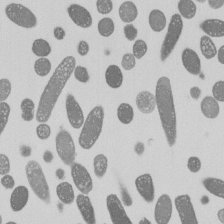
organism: E. coli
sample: Bacterial nucleoid